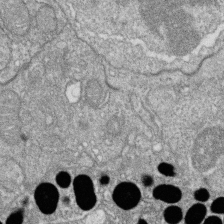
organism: Zebrafish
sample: Cilia; retinal pigment epithelium